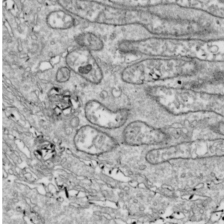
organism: Drosophila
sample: Cell division; meiosis; drosophila spermatocytes